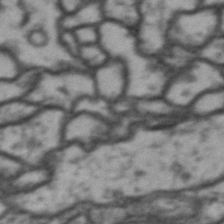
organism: Drosophila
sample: Brain